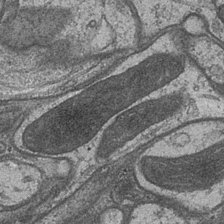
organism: Drosophila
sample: Optic medulla